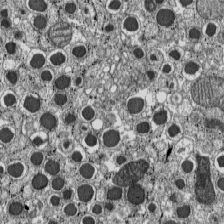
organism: C57BL Mouse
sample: Pancreatic islet